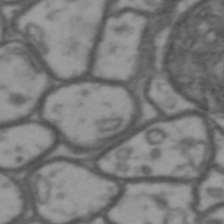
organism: Drosophila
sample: Brain